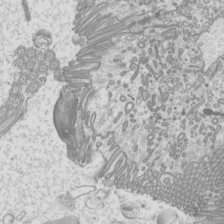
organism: Mouse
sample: Cilia; mouse epididymis